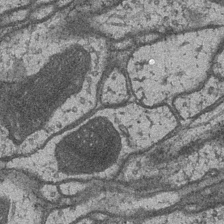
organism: Drosophila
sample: Optic medulla